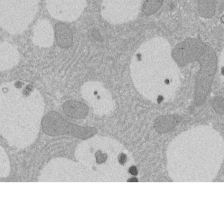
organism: Rat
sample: Salivary granule